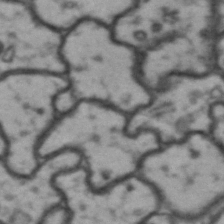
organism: Drosophila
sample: Brain